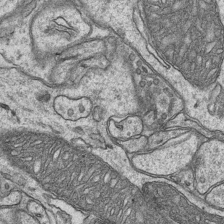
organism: Mouse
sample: CA1 Hippocampus